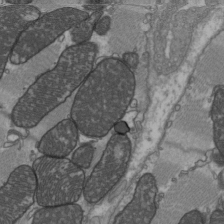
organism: C57BL Mouse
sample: Heart